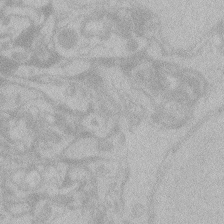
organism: Zebrafish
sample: Macrophage infected with Toxoplasma gondii